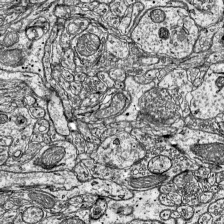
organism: Mouse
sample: Visual Cortex